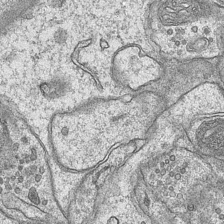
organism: Mouse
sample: CA1 Hippocampus